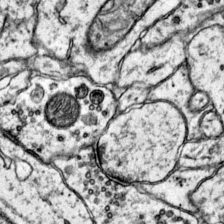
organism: Mouse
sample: Primary visual cortex